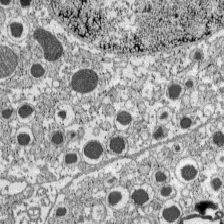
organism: C57BL Mouse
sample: Pancreatic islet